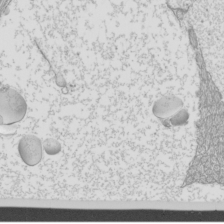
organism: Mouse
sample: Cilia; mouse epididymis